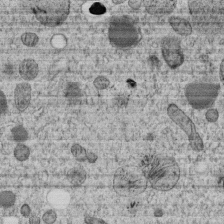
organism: C. elegans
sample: C. elegans embryo early stage